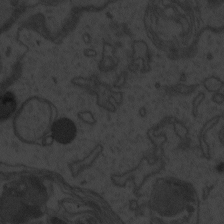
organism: Zebrafish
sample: Macrophage infected with Toxoplasma gondii